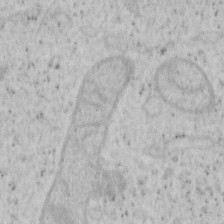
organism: Human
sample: HeLa cells